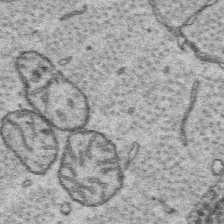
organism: Platynereis dumerilii